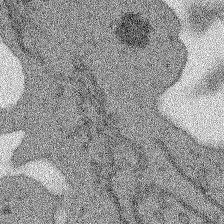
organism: Human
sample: HeLa cells